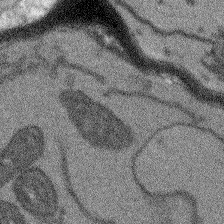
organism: Arabidopsis thaliana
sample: Root tip